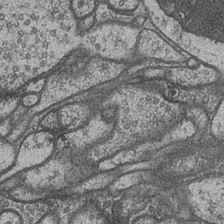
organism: Drosophila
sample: Optic medulla